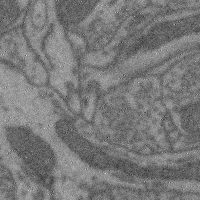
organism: Mouse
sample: Cerebral cortex